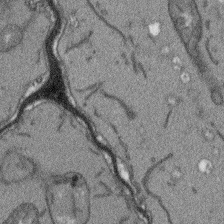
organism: Arabidopsis thaliana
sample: Root tip